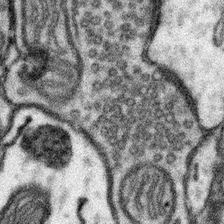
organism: Mouse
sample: Somatosensory cortex neuropil